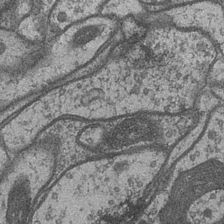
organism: Drosophila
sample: Optic medulla